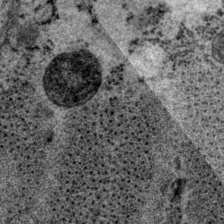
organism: P. pacificus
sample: Pharynx